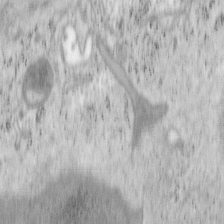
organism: Human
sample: HeLa cells